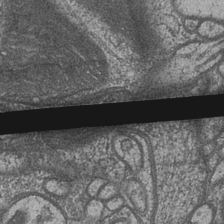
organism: Drosophila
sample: Optic medulla